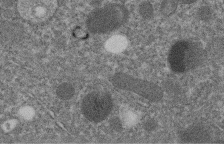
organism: C. elegans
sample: C. elegans embryo early stage